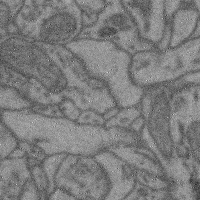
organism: Mouse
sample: Cerebral cortex